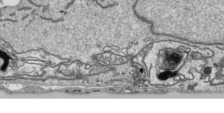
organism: Human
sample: Mitochondria in HCT116 cells